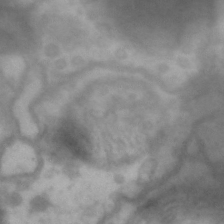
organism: Drosophila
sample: Brain